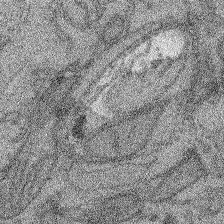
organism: Human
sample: HeLa cells